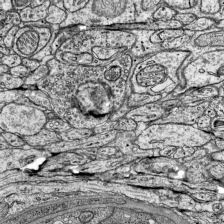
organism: Mouse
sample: Visual Cortex